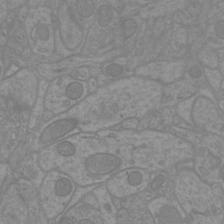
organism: Mouse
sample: Cortical neurons